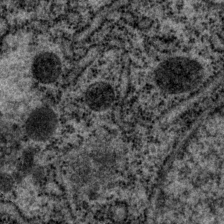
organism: P. pacificus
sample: Pharynx